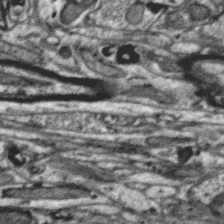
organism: Zebra finch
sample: Brain